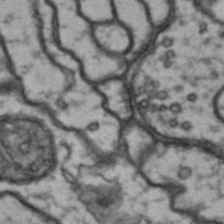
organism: Drosophila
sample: Brain